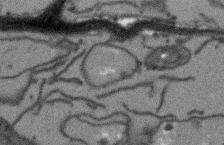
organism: Arabidopsis thaliana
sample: Root tip